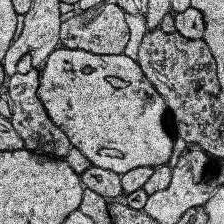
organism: Human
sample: Temporal Lobe